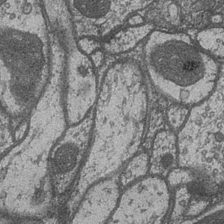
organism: Drosophila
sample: Optic medulla